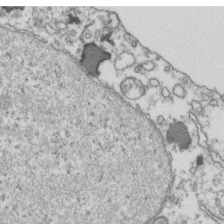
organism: Human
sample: Activated Jurkat CD4+ T cells